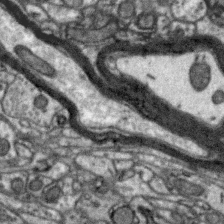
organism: Zebra finch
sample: Brain